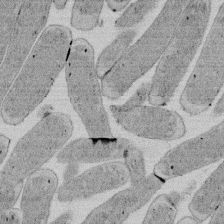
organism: E. coli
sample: Bacterial nucleoid